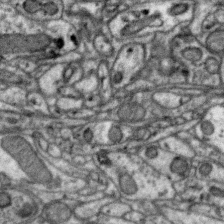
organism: Zebra finch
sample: Brain